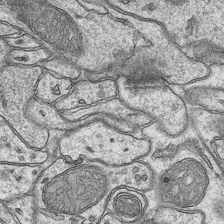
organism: Mouse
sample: CA1 Hippocampus